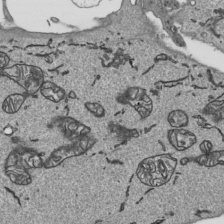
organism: Human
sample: Mitochondria in HCT116 cells